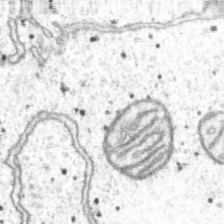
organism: Human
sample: HeLa cells